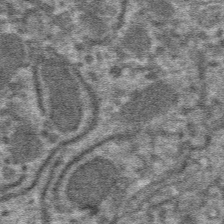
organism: Mouse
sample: Mouse hepatocytes